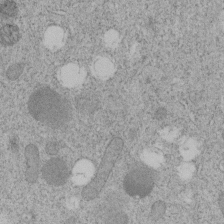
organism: C. elegans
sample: C. elegans embryo early stage